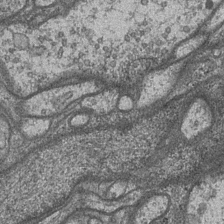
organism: Drosophila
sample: Optic medulla